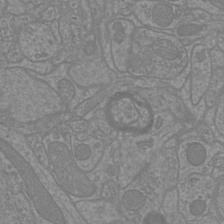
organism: Mouse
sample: Cortical neurons